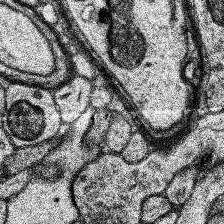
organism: Human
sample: Temporal Lobe